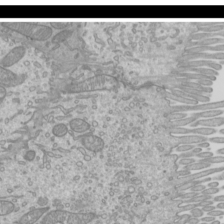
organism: Mouse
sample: Cilia; mouse epididymis